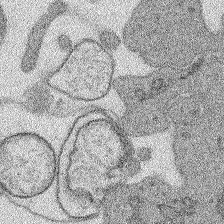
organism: Human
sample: HeLa cells